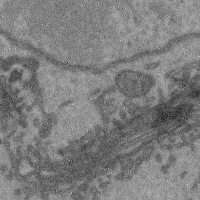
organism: Mouse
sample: Cerebral cortex